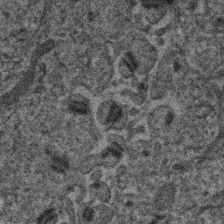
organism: Human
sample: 1205lu cells